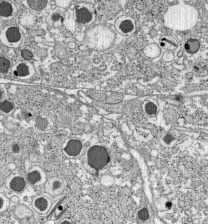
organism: C57BL Mouse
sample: Pancreatic islet